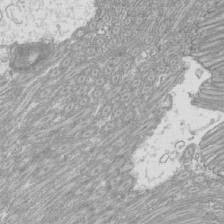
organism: Mouse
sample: Cilia; mouse epididymis